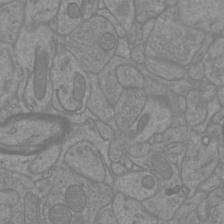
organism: Mouse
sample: Cortical neurons